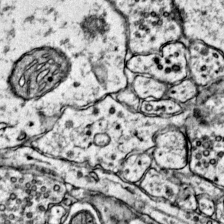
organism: Mouse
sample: Primary visual cortex